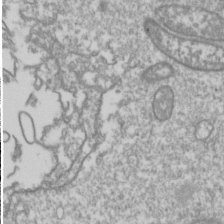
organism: Drosophila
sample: Cell division; meiosis; drosophila spermatocytes